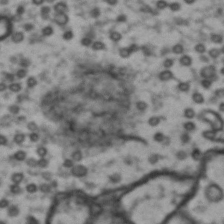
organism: Drosophila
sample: Brain